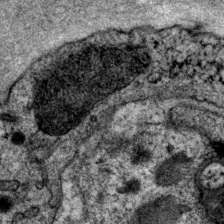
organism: P. pacificus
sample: Pharynx